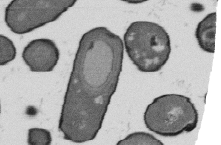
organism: B. subtilis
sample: Bacterial spore